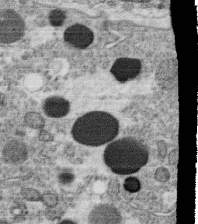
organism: C. elegans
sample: C. elegans oocyte; sperm cells